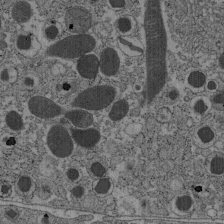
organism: C57BL Mouse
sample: Pancreatic islet